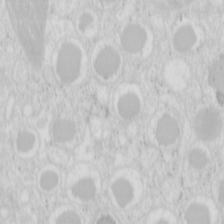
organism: Mouse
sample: Pancreas